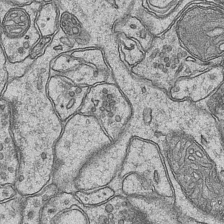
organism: Mouse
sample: CA1 Hippocampus